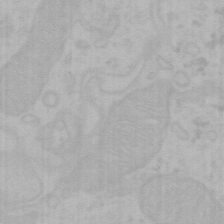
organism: Mouse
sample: Choroid plexus